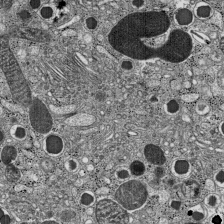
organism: C57BL Mouse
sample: Pancreatic islet